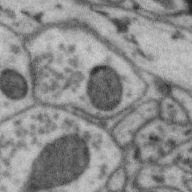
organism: Zebra finch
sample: Brain